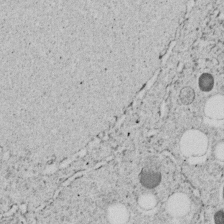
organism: C. elegans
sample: C. elegans embryo early stage